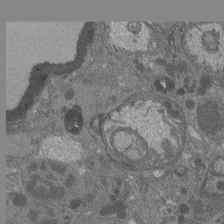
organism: Drosophila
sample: Antenna